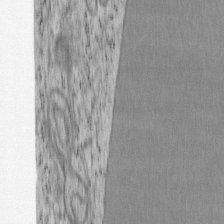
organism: Human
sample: HeLa cells